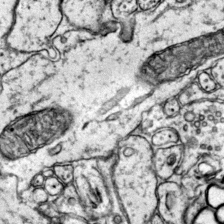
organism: Mouse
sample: Primary visual cortex